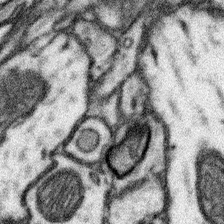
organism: Mouse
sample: Somatosensory cortex neuropil